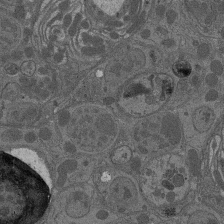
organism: Drosophila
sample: Antenna